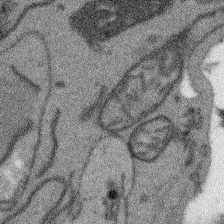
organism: Arabidopsis thaliana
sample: Root tip